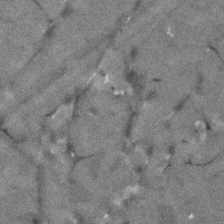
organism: Human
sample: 1205lu cells